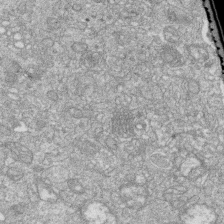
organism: Human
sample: HeLa cell HIV synapse